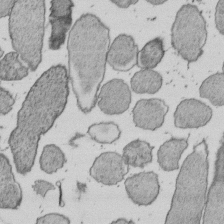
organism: E. coli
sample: Bacterial nucleoid